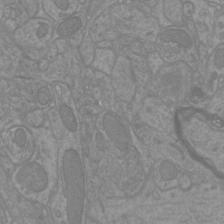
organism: Mouse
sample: Cortical neurons